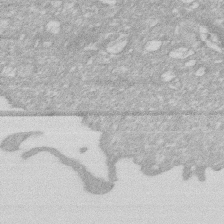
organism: Human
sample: HIV infected U937 cells